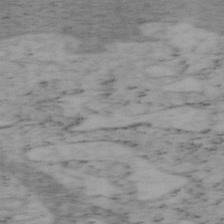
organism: Mouse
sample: OT-I killer T cells with ID8 ovarian cancer cells